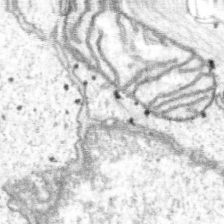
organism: Human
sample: HeLa cells